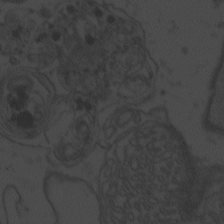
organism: Zebrafish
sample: Macrophage infected with Toxoplasma gondii